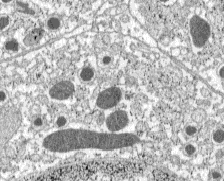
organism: C57BL Mouse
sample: Pancreatic islet